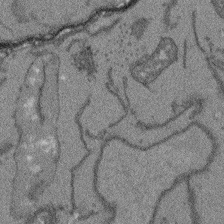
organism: Arabidopsis thaliana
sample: Root tip